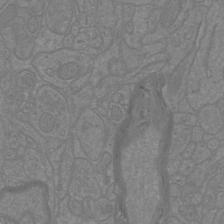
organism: Mouse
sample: Cortical neurons